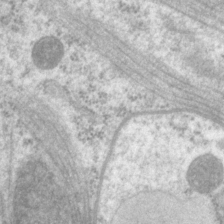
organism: P. pacificus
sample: Pharynx